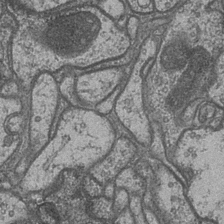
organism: Drosophila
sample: Optic medulla